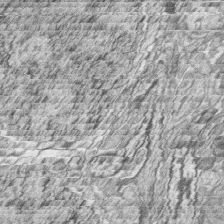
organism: Zebrafish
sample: synaptic ribbons in rod cells and cone cells